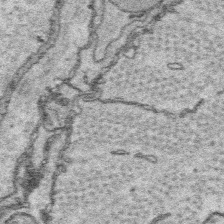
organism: Platynereis dumerilii